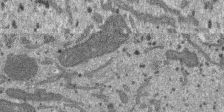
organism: Human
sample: Lung epithelial cells infected with SARS-CoV-2